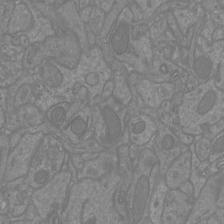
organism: Mouse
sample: Cortical neurons